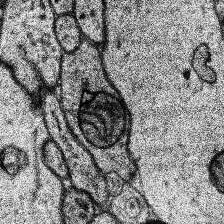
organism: Human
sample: Temporal Lobe